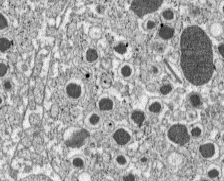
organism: C57BL Mouse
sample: Pancreatic islet